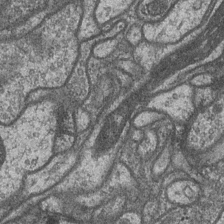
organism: Drosophila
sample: Optic medulla